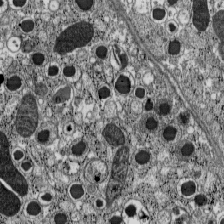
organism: C57BL Mouse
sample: Pancreatic islet